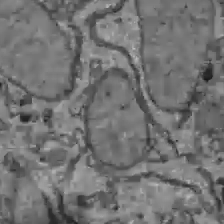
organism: C57BL Mouse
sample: Liver